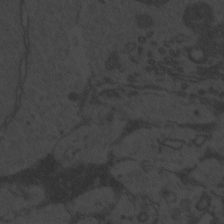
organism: Zebrafish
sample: Macrophage infected with Toxoplasma gondii